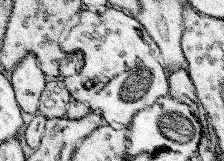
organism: Mouse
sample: Somatosensory cortex neuropil